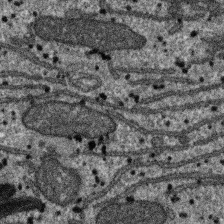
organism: Human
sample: Lung epithelial cells infected with SARS-CoV-2